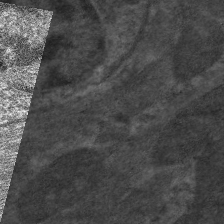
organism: C. elegans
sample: Pharynx